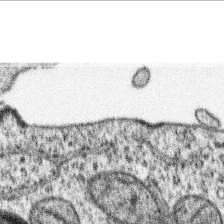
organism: Human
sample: HeLa cells